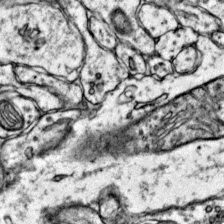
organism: Mouse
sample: Primary visual cortex